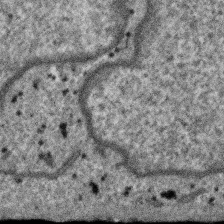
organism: Human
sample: Lung epithelial cells infected with SARS-CoV-2